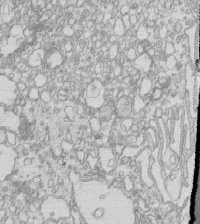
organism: Mouse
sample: Macrophages